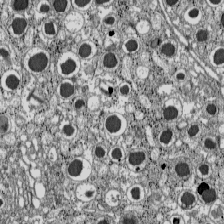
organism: C57BL Mouse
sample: Pancreatic islet